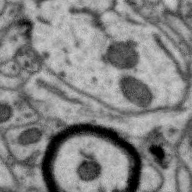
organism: Zebra finch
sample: Brain